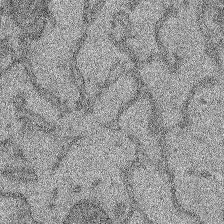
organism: Human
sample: HeLa cells